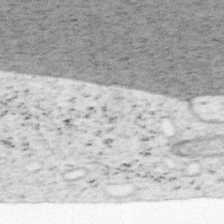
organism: Mouse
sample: OT-I killer T cells with ID8 ovarian cancer cells